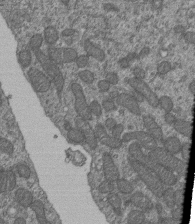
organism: Human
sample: Retinal organoid Rod and Cone cells